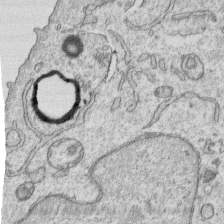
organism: Human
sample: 1205lu cells